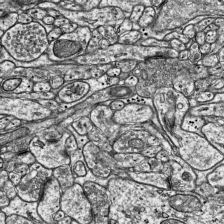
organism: Mouse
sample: Visual Cortex